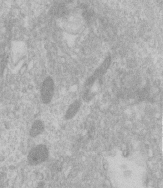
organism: Human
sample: Centriole in RPE cells